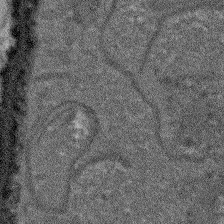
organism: Arabidopsis thaliana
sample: Root tip